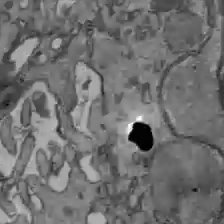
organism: C57BL Mouse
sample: Liver